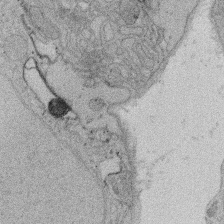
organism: Rat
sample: Salivary granule